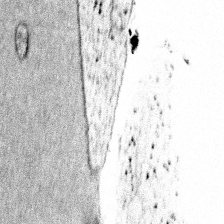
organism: Human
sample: HeLa cells